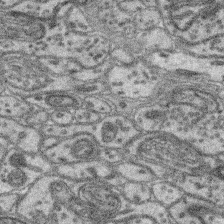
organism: Mouse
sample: Retina